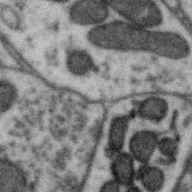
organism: Zebra finch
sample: Brain